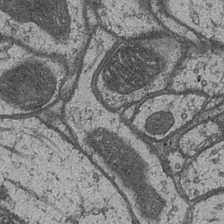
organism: Drosophila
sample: Optic medulla